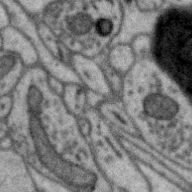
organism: Zebra finch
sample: Brain